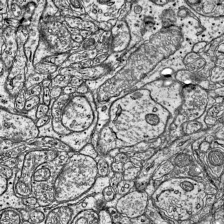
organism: Mouse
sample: Visual Cortex